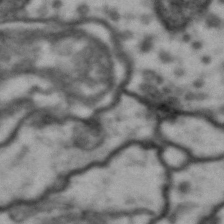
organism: Drosophila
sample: Brain